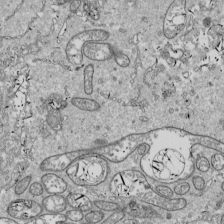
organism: Drosophila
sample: Cell division; meiosis; drosophila spermatocytes